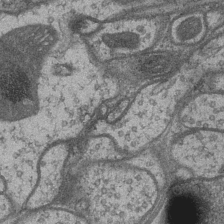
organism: Drosophila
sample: Optic medulla